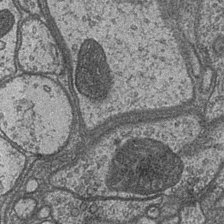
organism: Drosophila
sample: Optic medulla